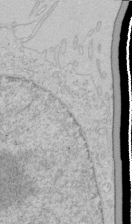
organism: Human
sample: Mitochondria in HCT116 cells